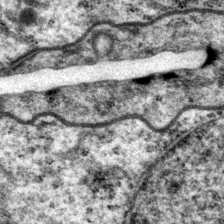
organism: P. pacificus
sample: Pharynx